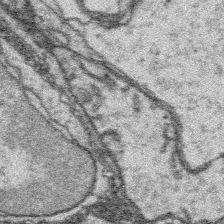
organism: Platynereis dumerilii